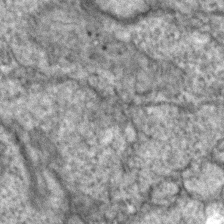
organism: Zebrafish